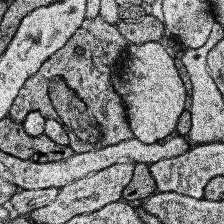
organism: Human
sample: Temporal Lobe